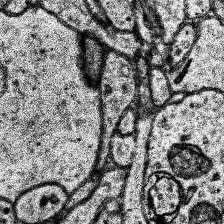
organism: Human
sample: Temporal Lobe